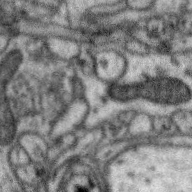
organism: Zebra finch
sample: Brain